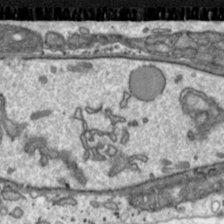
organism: Toxoplasma gondii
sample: Parasites in a vacuole inside a host cell